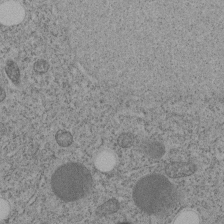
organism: C. elegans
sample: C. elegans embryo early stage